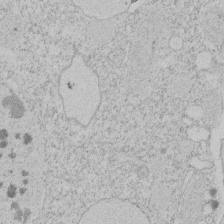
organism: Tetrahymena